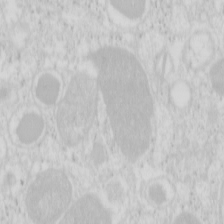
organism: Mouse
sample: Pancreas